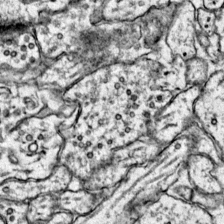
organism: Mouse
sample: Primary visual cortex